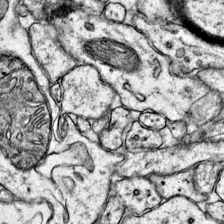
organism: Mouse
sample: Primary visual cortex